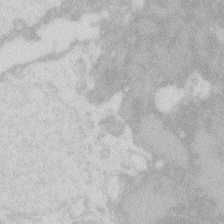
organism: Zebrafish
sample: Macrophage